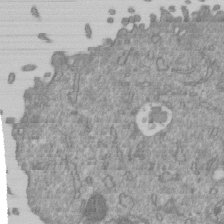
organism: Mouse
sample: ED-1 cell nuclei; centrioles